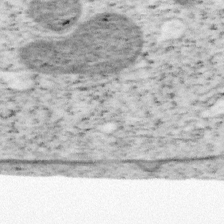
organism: Mouse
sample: OT-I killer T cells with ID8 ovarian cancer cells